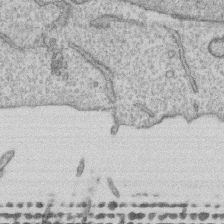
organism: Human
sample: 1205lu cells